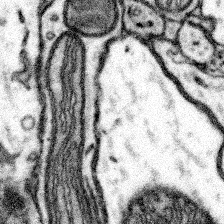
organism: Mouse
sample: Somatosensory cortex neuropil